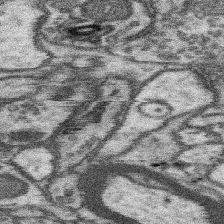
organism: Mouse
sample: Somatosensory cortex neuropil